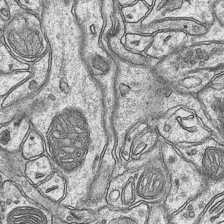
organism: Mouse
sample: CA1 Hippocampus